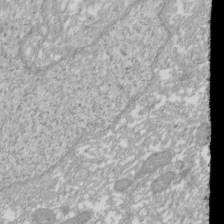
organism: Xenopus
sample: Cilia; centrioles in frog embryo cells